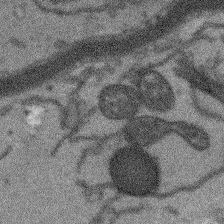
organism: Arabidopsis thaliana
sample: Root tip